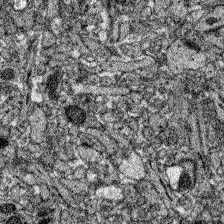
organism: Zebrafish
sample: Larval olfactory bulb